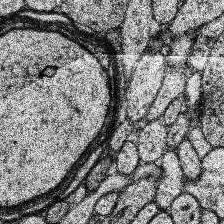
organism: Human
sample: Temporal Lobe